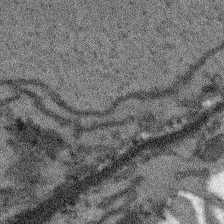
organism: Arabidopsis thaliana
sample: Root tip